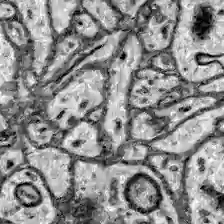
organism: Zebrafish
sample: Brain